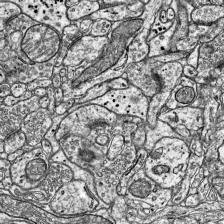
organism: Mouse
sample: Visual Cortex